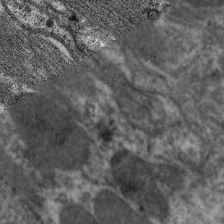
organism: C. elegans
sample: Pharynx